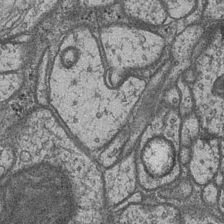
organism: Drosophila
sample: Optic medulla